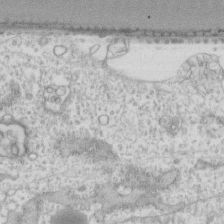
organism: Human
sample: Fibroblast cells